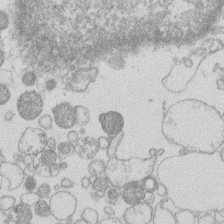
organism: Human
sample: Macrophage cells